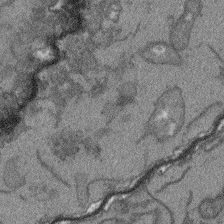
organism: Arabidopsis thaliana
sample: Root tip